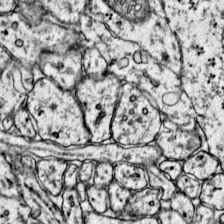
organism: Mouse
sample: Primary visual cortex